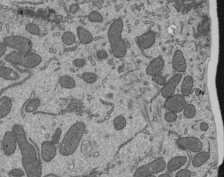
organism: Mouse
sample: Mouse epididymis efferent ductule cilia